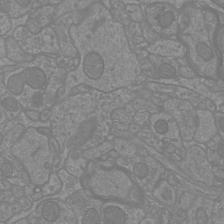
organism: Mouse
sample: Cortical neurons